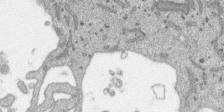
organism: Human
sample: Lung epithelial cells infected with SARS-CoV-2